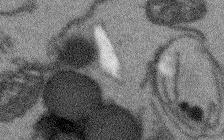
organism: Arabidopsis thaliana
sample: Root tip